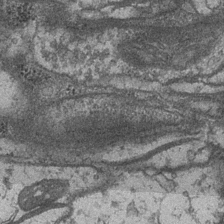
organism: Drosophila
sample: Optic medulla